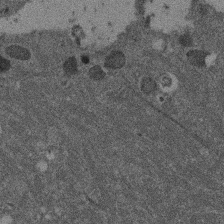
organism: Mouse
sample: Dividing mouse embryo 1 cell stage